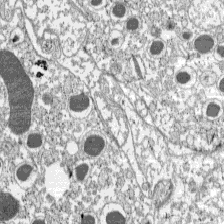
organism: C57BL Mouse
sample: Pancreatic islet